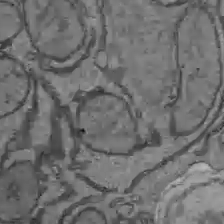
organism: C57BL Mouse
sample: Liver